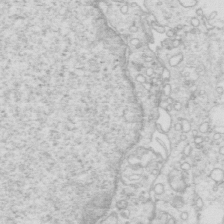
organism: Mouse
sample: Multiciliated cells